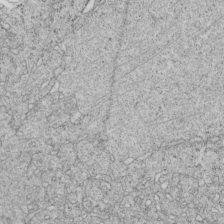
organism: C. elegans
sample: C. elegans embryo early stage